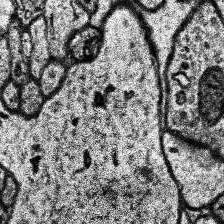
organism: Human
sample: Temporal Lobe